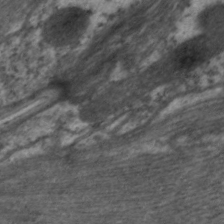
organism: C. elegans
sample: Pharynx